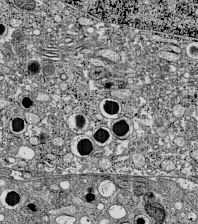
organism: C57BL Mouse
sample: Pancreatic islet